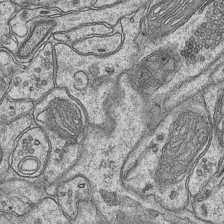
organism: Mouse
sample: CA1 Hippocampus